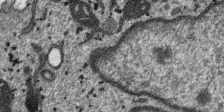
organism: Human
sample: Lung epithelial cells infected with SARS-CoV-2